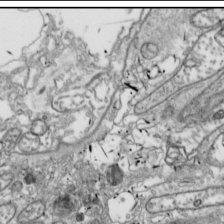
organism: Drosophila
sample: Cell division; meiosis; drosophila spermatocytes